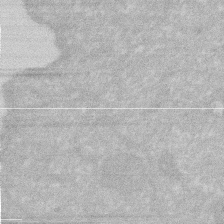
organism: Human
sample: HIV infected U937 cells